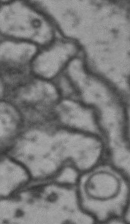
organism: Drosophila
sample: Brain